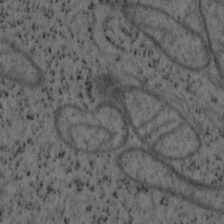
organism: Human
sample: HeLa cells